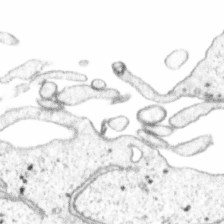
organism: Human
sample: HeLa cells